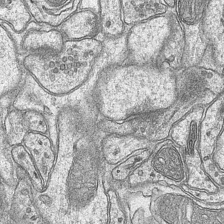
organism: Mouse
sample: CA1 Hippocampus